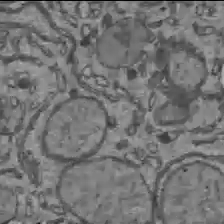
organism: C57BL Mouse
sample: Liver